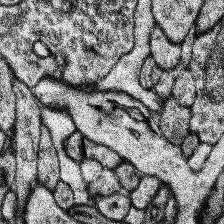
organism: Human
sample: Temporal Lobe